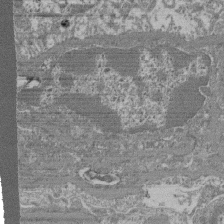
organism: Mouse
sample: Glomerulus